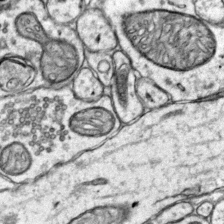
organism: Mouse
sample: Primary visual cortex